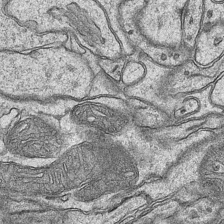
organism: Mouse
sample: CA1 Hippocampus